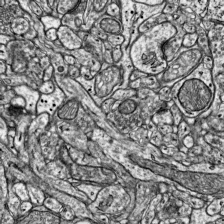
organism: Mouse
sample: Visual Cortex